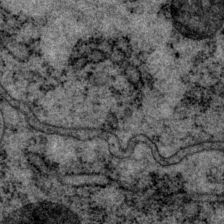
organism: P. pacificus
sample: Pharynx